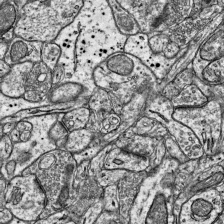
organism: Mouse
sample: Visual Cortex